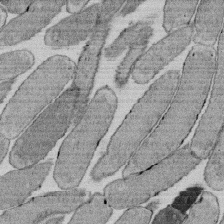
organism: E. coli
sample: Bacterial nucleoid